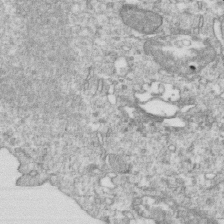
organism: Mouse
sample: Activated OT-1 CD8+ T cells